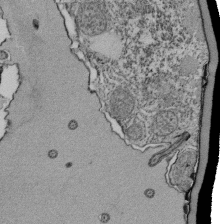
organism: Tetrahymena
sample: Cilia in tetrahymena